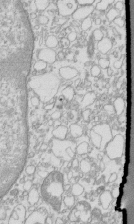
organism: Mouse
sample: Macrophages